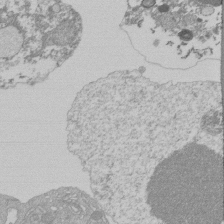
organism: Mouse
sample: Activated Pmel transgenic CD8+ T Cells